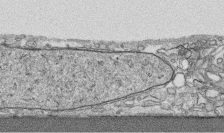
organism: Human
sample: CRL-1474